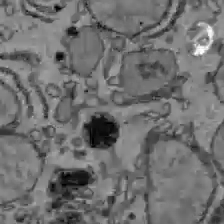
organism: C57BL Mouse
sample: Liver